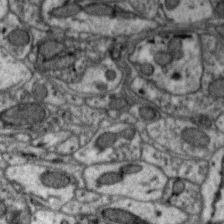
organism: Zebra finch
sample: Brain